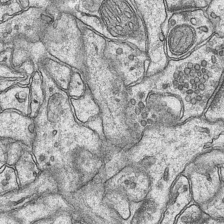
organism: Mouse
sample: CA1 Hippocampus